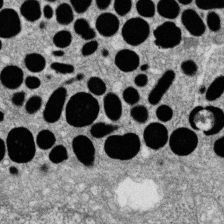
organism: Zebrafish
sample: Cilia; retinal pigment epithelium